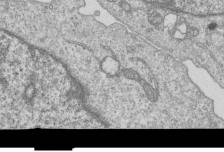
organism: Human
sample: MDA-MB-231 cells